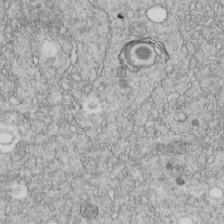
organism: C. elegans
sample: C. elegans embryo early stage